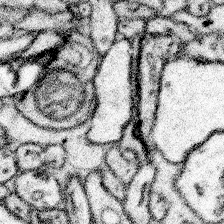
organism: Mouse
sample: Somatosensory cortex neuropil